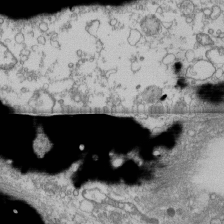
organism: Human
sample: Fibroblast cells